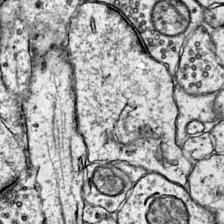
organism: Mouse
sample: Primary visual cortex